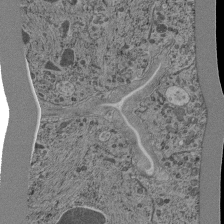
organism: C. elegans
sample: C. elegans pharynx